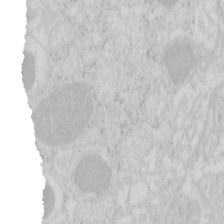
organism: Mouse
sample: Pancreas